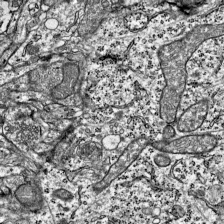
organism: Mouse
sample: Visual Cortex